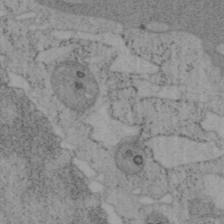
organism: Mouse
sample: OT-I killer T cells with ID8 ovarian cancer cells